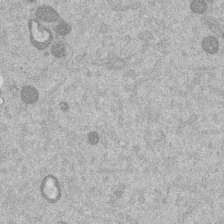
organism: Mouse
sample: Dividing mouse embryo 1 cell stage